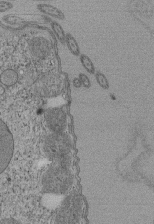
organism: Tetrahymena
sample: Cilia in tetrahymena